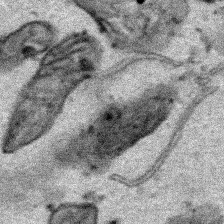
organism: Human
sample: Mitochondria in HCT116 cells